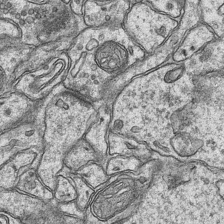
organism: Mouse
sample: CA1 Hippocampus